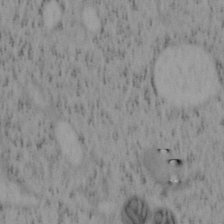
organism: Mouse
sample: OT-I killer T cells with ID8 ovarian cancer cells